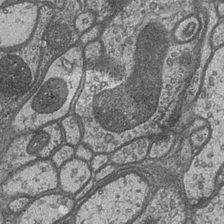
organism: Drosophila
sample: Optic medulla